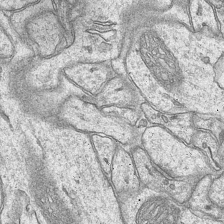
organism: Mouse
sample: CA1 Hippocampus